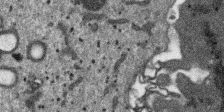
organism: Human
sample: Lung epithelial cells infected with SARS-CoV-2